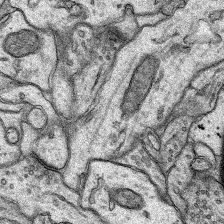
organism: Rat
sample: Hippocampus